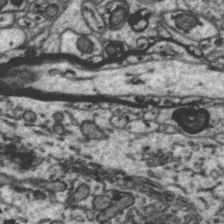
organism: Zebra finch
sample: Brain